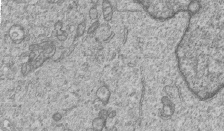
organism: Human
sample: MDA-MB-231 cells